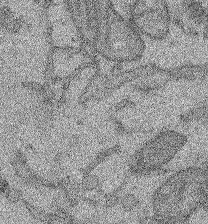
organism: Human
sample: HeLa cells